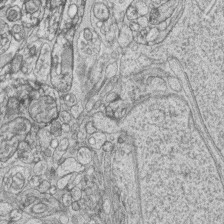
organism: Zebrafish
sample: synaptic ribbons in rod cells and cone cells